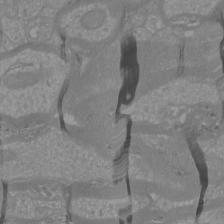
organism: Mouse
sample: Cortical neurons